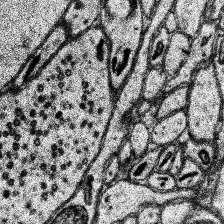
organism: Human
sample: Temporal Lobe